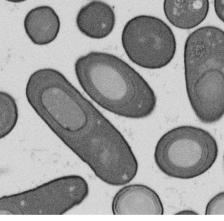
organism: B. subtilis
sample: Bacterial spore